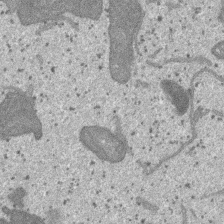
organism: Human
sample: Lung epithelial cells infected with SARS-CoV-2